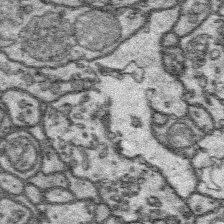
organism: Platynereis dumerilii